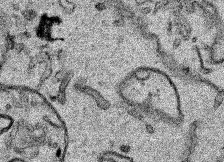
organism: Human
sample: Mitochondria in HCT116 cells